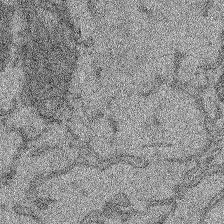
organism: Human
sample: HeLa cells